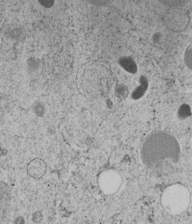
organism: C. elegans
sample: C. elegans embryo early stage